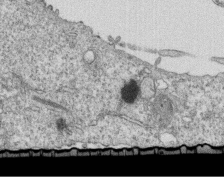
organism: Human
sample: HeLa cell HIV synapse